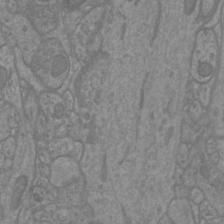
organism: Mouse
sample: Cortical neurons